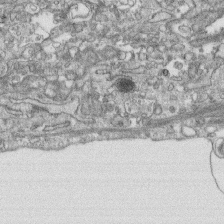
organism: Human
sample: CRL-1474